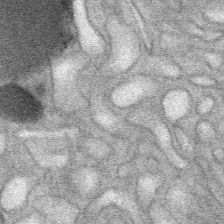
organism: Mouse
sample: Mouse Salivary gland